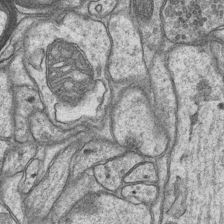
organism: Mouse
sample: CA1 Hippocampus